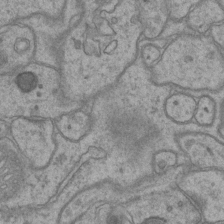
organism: Mouse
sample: CA1 Hippocampus